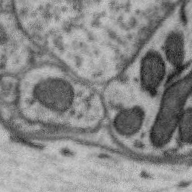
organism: Zebra finch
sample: Brain